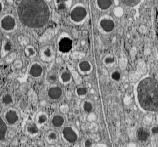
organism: C57BL Mouse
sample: Pancreatic islet